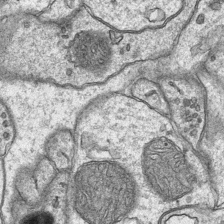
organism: Mouse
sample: CA1 Hippocampus